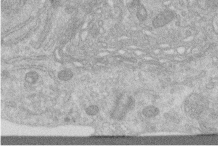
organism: Human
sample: Centriole in RPE cells